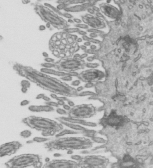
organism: Mouse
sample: Mouse epididymis efferent ductule cilia